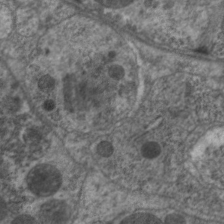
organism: C. elegans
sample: Pharynx